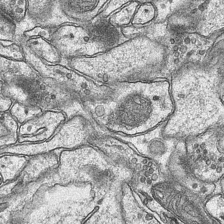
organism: Mouse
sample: CA1 Hippocampus